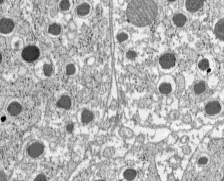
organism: C57BL Mouse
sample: Pancreatic islet